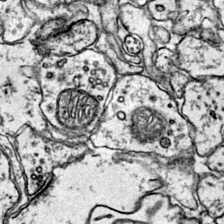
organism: Mouse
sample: Primary visual cortex